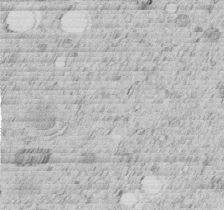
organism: C. elegans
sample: C. elegans embryo early stage